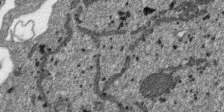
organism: Human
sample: Lung epithelial cells infected with SARS-CoV-2